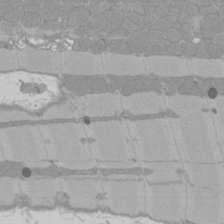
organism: Rat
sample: Left ventricle